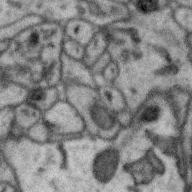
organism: Zebra finch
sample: Brain